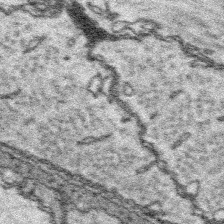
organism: Platynereis dumerilii